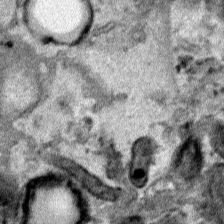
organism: Human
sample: Mitochondria in HCT116 cells